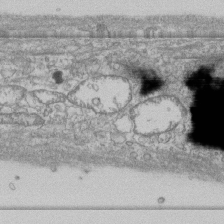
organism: Human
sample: Fibroblast cells